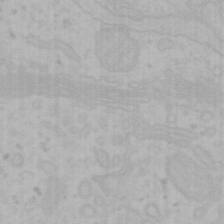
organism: Mouse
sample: Choroid plexus